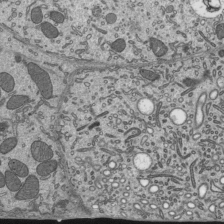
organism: Mouse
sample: Mouse epididymis efferent ductule cilia